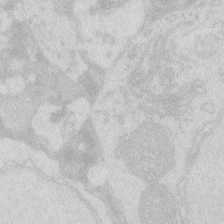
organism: Zebrafish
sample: Macrophage